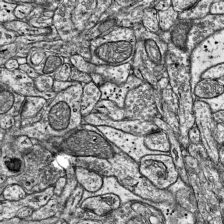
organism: Mouse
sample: Visual Cortex